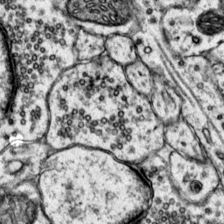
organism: Mouse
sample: Primary visual cortex